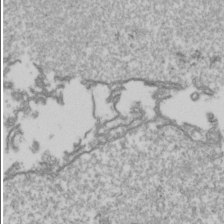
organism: Drosophila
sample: Cell division; meiosis; drosophila spermatocytes